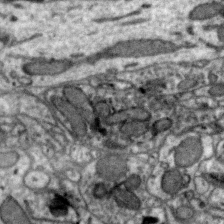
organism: Zebra finch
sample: Brain